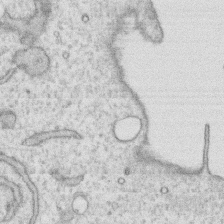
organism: Human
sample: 1205lu cells